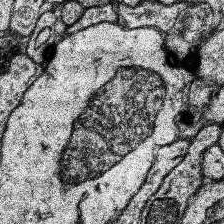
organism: Human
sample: Temporal Lobe